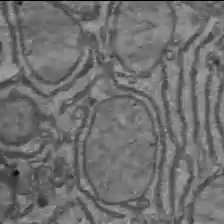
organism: C57BL Mouse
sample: Liver